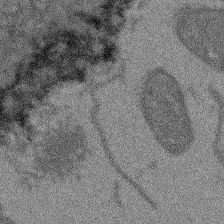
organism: Arabidopsis thaliana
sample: Root tip